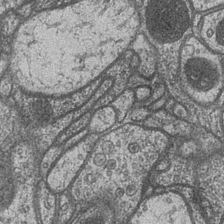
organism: Drosophila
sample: Optic medulla